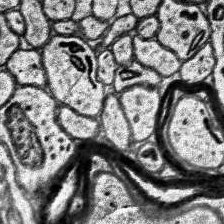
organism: Human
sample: Temporal Lobe